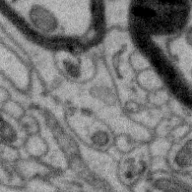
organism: Zebra finch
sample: Brain